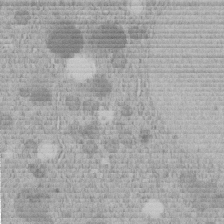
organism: C. elegans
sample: C. elegans embryo early stage